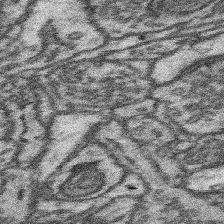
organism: Mouse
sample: Somatosensory cortex neuropil